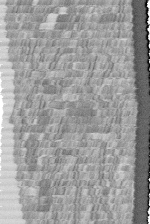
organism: Human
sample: Centriole in fibroblast cells